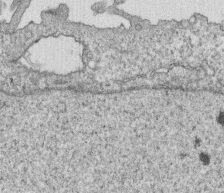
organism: Human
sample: HeLa cell HIV synapse